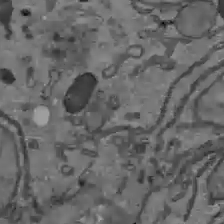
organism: C57BL Mouse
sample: Liver